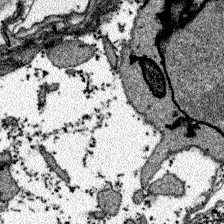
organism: Zebrafish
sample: Larval olfactory bulb